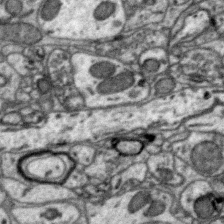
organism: Zebra finch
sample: Brain